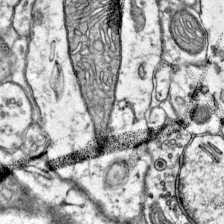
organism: Mouse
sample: Primary visual cortex